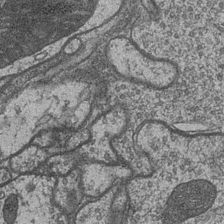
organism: Drosophila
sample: Optic medulla